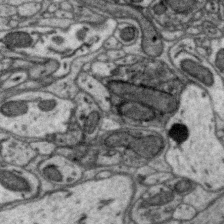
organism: Zebra finch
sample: Brain